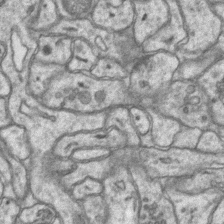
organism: Mouse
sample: CA1 Hippocampus